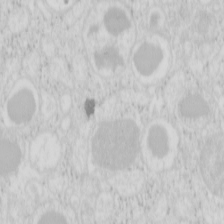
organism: Mouse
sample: Pancreas